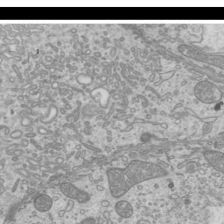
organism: Mouse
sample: Cilia; mouse epididymis